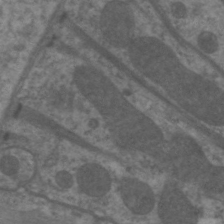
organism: C. elegans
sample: Pharynx